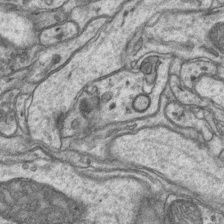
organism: Mouse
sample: CA1 Hippocampus